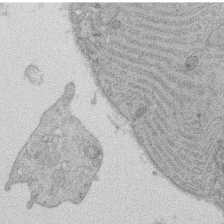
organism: Rat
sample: Salivary granule